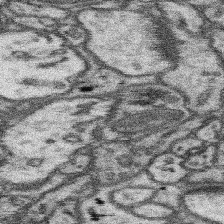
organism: Mouse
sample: Somatosensory cortex neuropil